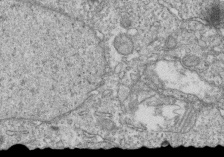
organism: Human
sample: HeLa cell HIV synapse